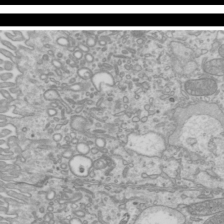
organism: Mouse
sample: Cilia; mouse epididymis